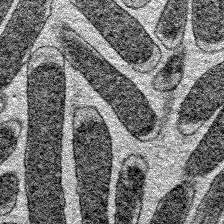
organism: E. coli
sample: E. Coli Bacteria